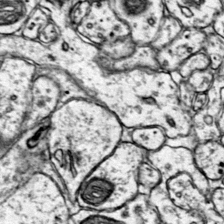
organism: Mouse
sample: Primary visual cortex